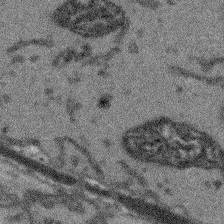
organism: Arabidopsis thaliana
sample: Root tip